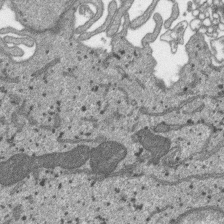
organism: Human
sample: Lung epithelial cells infected with SARS-CoV-2